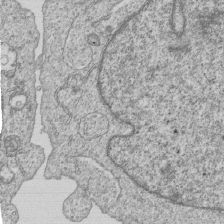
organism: Human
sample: MDA-MB-231 cells